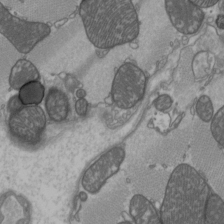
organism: C57BL Mouse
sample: Heart